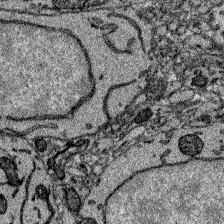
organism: Zebrafish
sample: Larval olfactory bulb